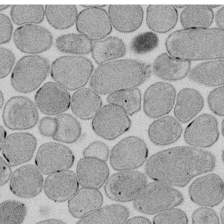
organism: E. coli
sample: Bacterial nucleoid